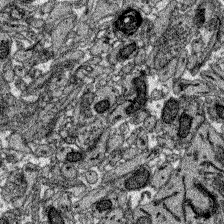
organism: Zebrafish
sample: Larval olfactory bulb